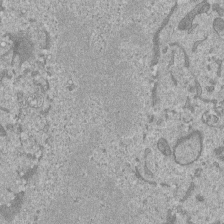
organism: Mouse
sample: ED-1 cell nuclei; centrioles